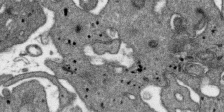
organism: Human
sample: Lung epithelial cells, uninfected (mock) control